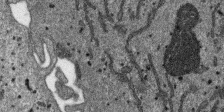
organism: Human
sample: Lung epithelial cells infected with SARS-CoV-2